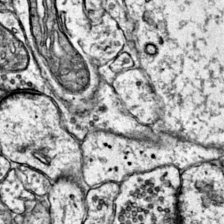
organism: Mouse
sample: Primary visual cortex